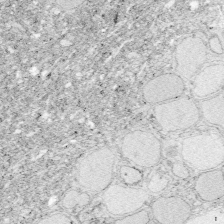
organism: Zebrafish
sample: Whole-Brain